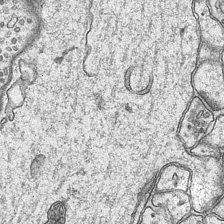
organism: Mouse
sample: CA1 Hippocampus